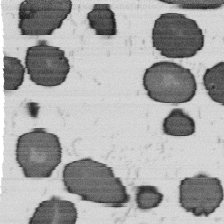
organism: B. subtilis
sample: Bacterial spore